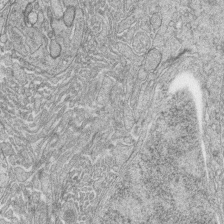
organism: Zebrafish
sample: synaptic ribbons in rod cells and cone cells